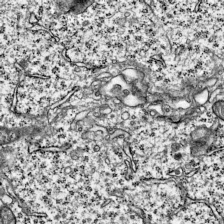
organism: Mouse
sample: Visual Cortex